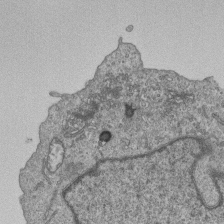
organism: Human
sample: MDA-MB-231 cells